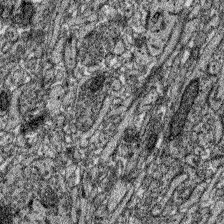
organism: Zebrafish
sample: Larval olfactory bulb